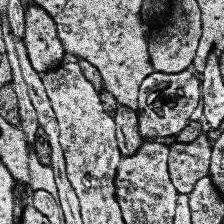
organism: Human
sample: Temporal Lobe